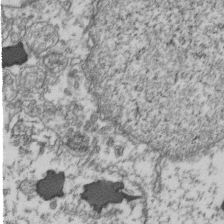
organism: Human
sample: Activated Jurkat CD4+ T cells